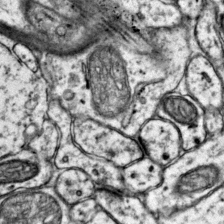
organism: Mouse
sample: Primary visual cortex